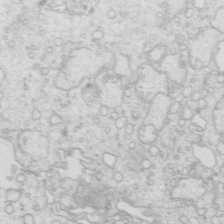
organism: Mouse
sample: Multiciliated cells